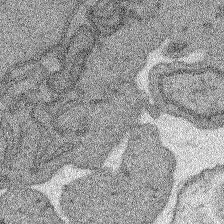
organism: Human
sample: HeLa cells